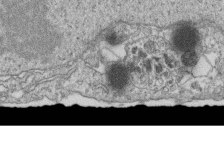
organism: Human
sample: HeLa cell HIV synapse